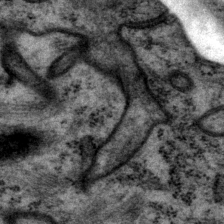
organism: P. pacificus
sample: Pharynx